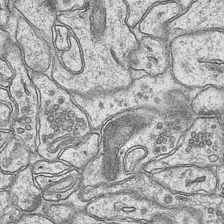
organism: Mouse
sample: CA1 Hippocampus